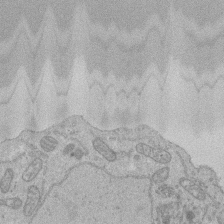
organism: Human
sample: Activated Jurkat CD4+ T cells